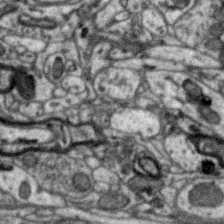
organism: Zebra finch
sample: Brain